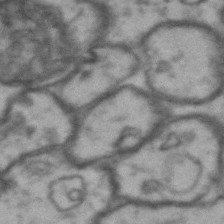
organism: Drosophila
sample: Brain